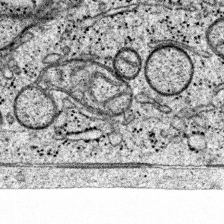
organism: Human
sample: HeLa cells